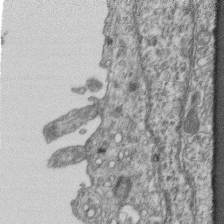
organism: Mouse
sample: Centriole in ependymal cells